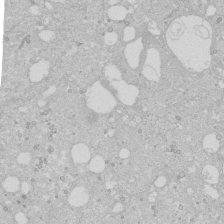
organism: Human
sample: Caco-2 cells